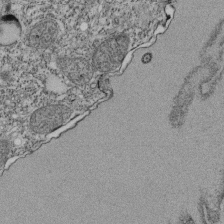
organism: Tetrahymena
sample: Cilia in tetrahymena